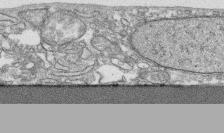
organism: Human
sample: CRL-1474